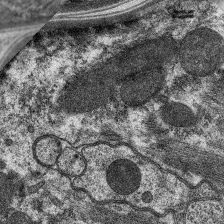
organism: C. elegans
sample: Pharynx